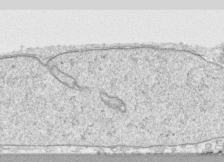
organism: Human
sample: CRL-1474